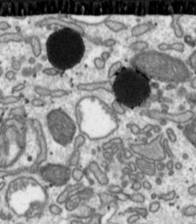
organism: Toxoplasma gondii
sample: Parasites in a vacuole inside a host cell